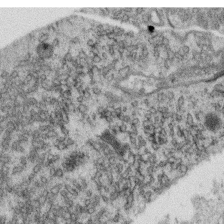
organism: C. elegans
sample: C. elegans oocyte; sperm cells